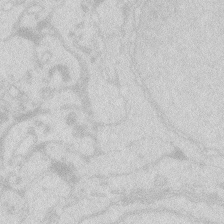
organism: Zebrafish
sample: Macrophage